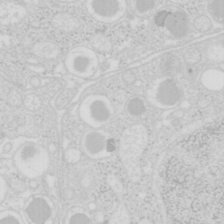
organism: Mouse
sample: Pancreas